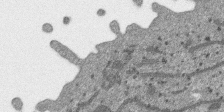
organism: Human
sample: Lung epithelial cells infected with SARS-CoV-2